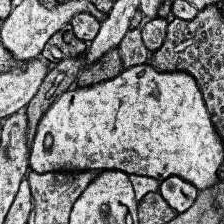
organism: Human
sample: Temporal Lobe